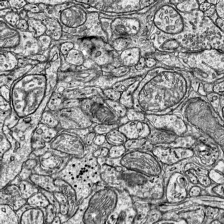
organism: Mouse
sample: Visual Cortex